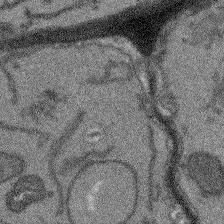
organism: Arabidopsis thaliana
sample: Root tip